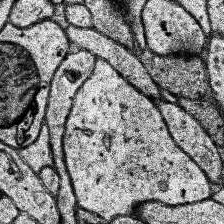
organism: Human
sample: Temporal Lobe